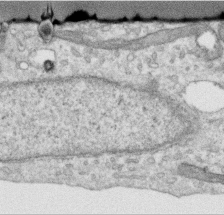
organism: Human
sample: Centriole in RPE cells